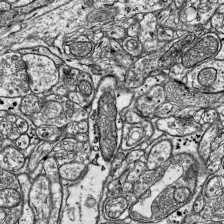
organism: Mouse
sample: Visual Cortex